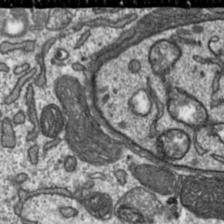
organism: Toxoplasma gondii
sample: Parasites in a vacuole inside a host cell